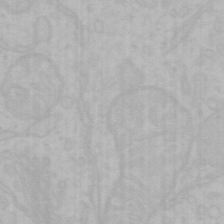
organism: Mouse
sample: Choroid plexus